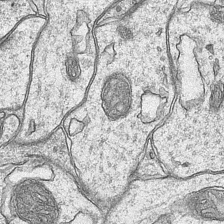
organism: Mouse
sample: CA1 Hippocampus